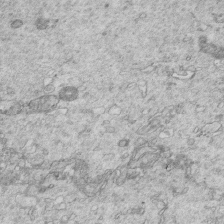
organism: Mouse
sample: Multiciliated cells